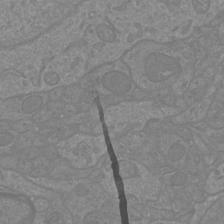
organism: Mouse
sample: Cortical neurons